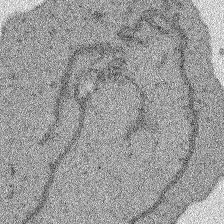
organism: Human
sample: HeLa cells